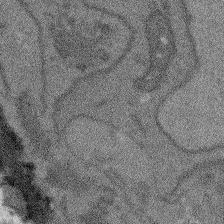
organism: Arabidopsis thaliana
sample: Root tip